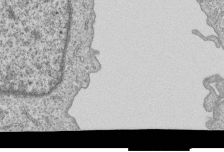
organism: Human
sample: MDA-MB-231 cells